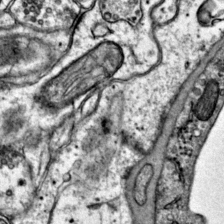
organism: Mouse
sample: Primary visual cortex